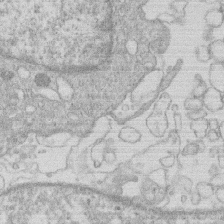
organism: Human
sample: Macrophage cells